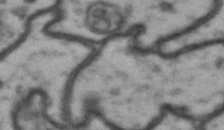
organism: Drosophila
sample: Brain